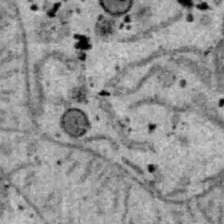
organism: Mouse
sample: Liver from an obese (ob/ob) mouse